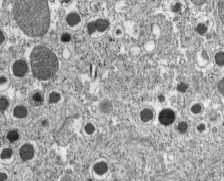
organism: C57BL Mouse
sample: Pancreatic islet